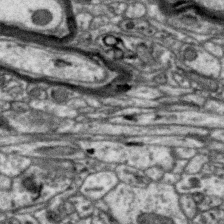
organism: Zebra finch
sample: Brain